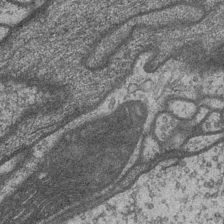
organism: Drosophila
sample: Optic medulla